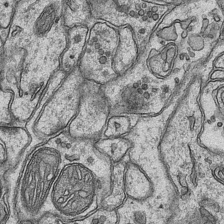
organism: Mouse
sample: CA1 Hippocampus